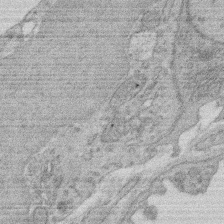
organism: Rat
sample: Salivary granule